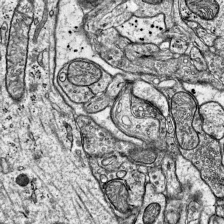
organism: Mouse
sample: Visual Cortex